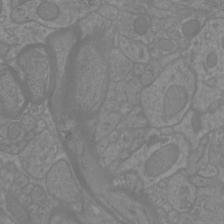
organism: Mouse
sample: Cortical neurons